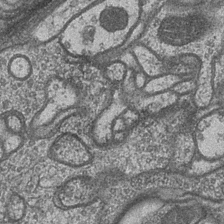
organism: Drosophila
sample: Optic medulla